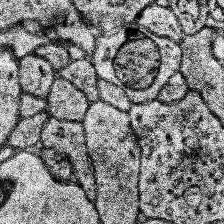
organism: Human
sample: Temporal Lobe